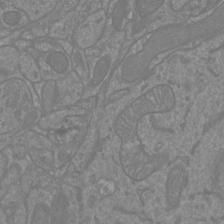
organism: Mouse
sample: Cortical neurons